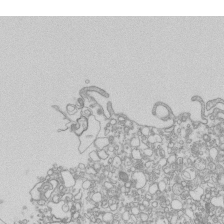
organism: Mouse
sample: Macrophages